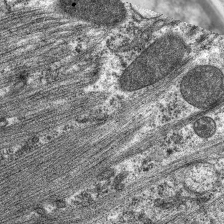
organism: C. elegans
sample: Pharynx